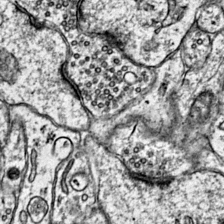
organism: Mouse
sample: Primary visual cortex